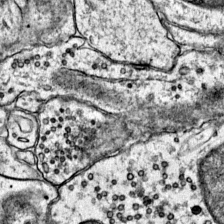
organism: Mouse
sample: Primary visual cortex